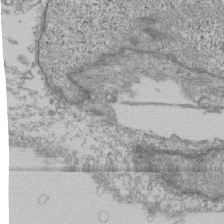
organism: Human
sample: Fibroblast cells